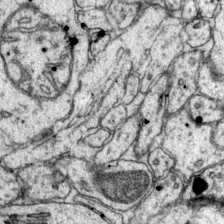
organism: Mouse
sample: Primary visual cortex